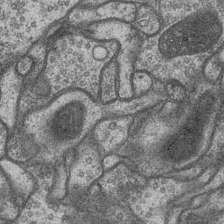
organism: Drosophila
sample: Optic medulla